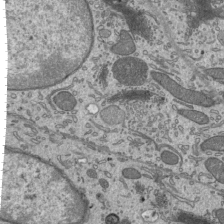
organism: Mouse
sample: Mouse epididymis efferent ductule cilia